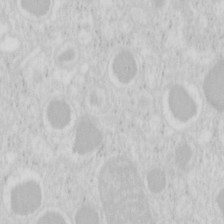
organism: Mouse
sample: Pancreas